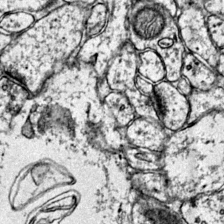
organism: Mouse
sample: Primary visual cortex